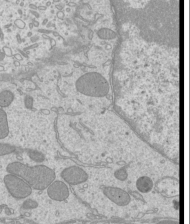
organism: Mouse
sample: Cilia; mouse epididymis